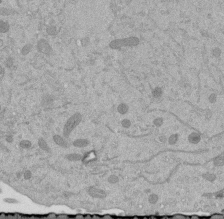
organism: Mouse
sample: ED-1 cell nuclei; centrioles